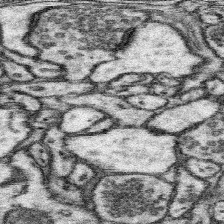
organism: Mouse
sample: Somatosensory cortex neuropil